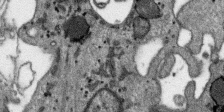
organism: Human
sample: Lung epithelial cells, uninfected (mock) control